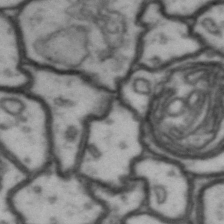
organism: Drosophila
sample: Brain